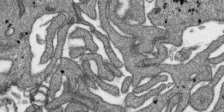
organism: Human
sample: Lung epithelial cells, uninfected (mock) control